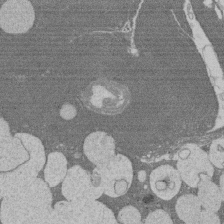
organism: Rat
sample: Salivary granule